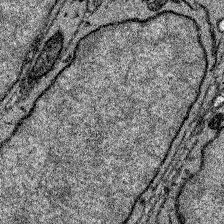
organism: Zebrafish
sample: Larval olfactory bulb